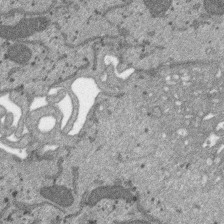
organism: Human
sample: Lung epithelial cells infected with SARS-CoV-2